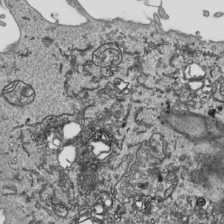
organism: Human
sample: Mitochondria in HCT116 cells